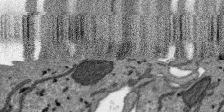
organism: Human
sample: Lung epithelial cells, uninfected (mock) control